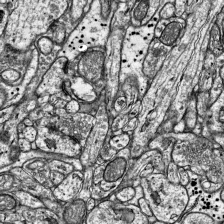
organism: Mouse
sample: Visual Cortex